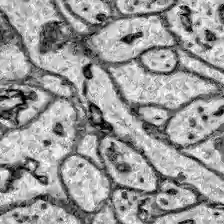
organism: Zebrafish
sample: Brain